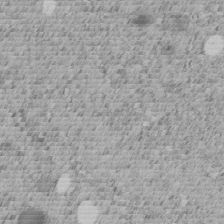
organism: C. elegans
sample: C. elegans embryo early stage